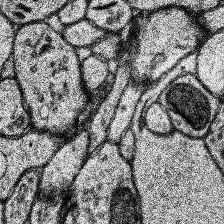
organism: Human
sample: Temporal Lobe